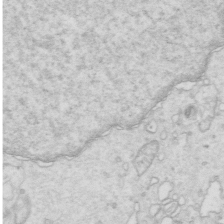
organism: Mouse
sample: Multiciliated cells